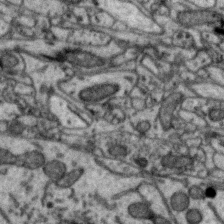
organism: Zebra finch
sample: Brain